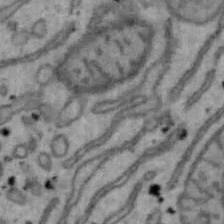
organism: Mouse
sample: Liver